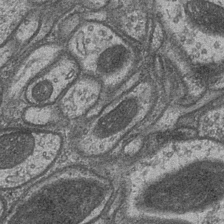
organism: Drosophila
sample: Optic medulla